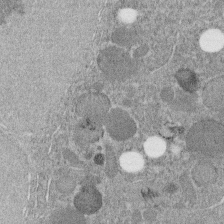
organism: C. elegans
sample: C. elegans embryo early stage